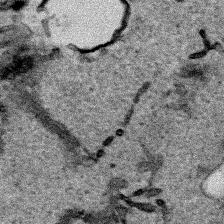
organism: Human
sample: Mitochondria in HCT116 cells